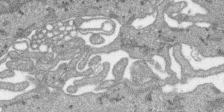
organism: Human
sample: Lung epithelial cells infected with SARS-CoV-2